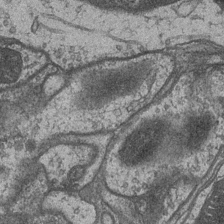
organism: Drosophila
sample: Optic medulla